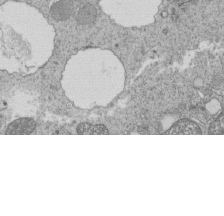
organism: Tetrahymena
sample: Cilia in tetrahymena